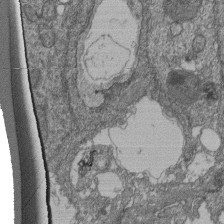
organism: Human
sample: Retinal organoid Rod and Cone cells